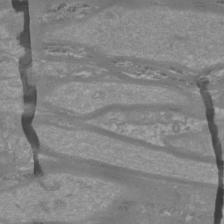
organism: Mouse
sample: Cortical neurons